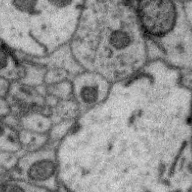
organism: Zebra finch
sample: Brain